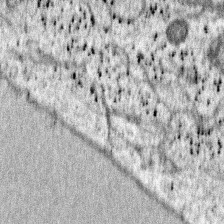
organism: Human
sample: HeLa cells